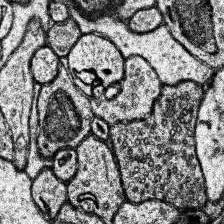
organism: Human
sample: Temporal Lobe